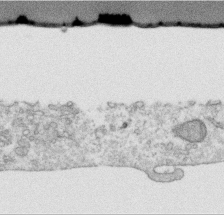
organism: Human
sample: Centriole in RPE cells